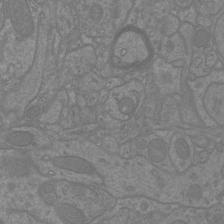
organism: Mouse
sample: Cortical neurons